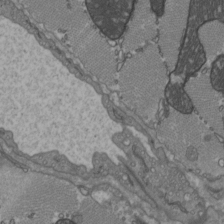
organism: C57BL Mouse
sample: Heart